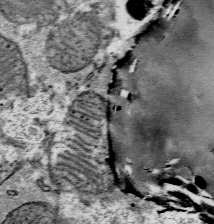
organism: Mouse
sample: Mouse Salivary gland